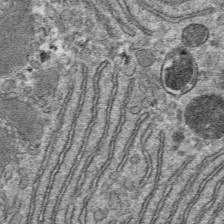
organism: Mouse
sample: Mouse hepatocytes